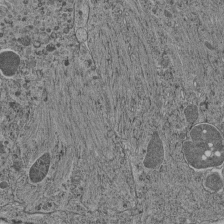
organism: C. elegans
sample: C. elegans pharynx